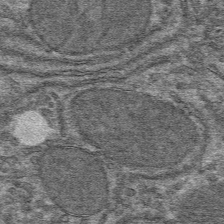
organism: Mouse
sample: Mouse hepatocytes